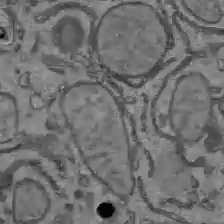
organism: C57BL Mouse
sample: Liver